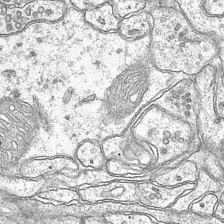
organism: Mouse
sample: CA1 Hippocampus